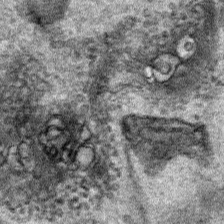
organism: Human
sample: Mitochondria in HCT116 cells